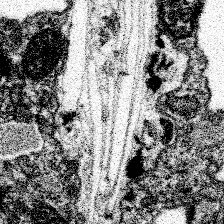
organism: Spongilla lacustris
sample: Neuroid cell